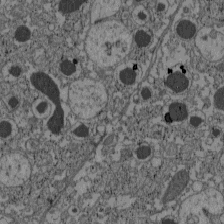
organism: C57BL Mouse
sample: Pancreatic islet